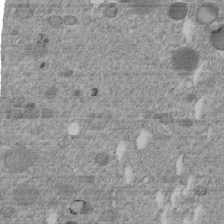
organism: C. elegans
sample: C. elegans embryo early stage